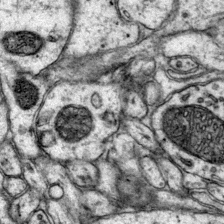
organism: Mouse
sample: Primary visual cortex